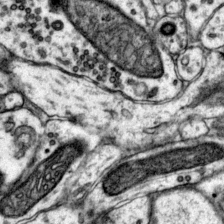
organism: Mouse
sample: Primary visual cortex